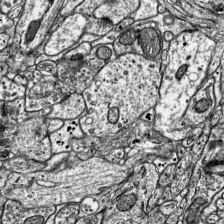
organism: Mouse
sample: Visual Cortex